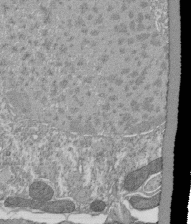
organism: Tetrahymena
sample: Cilia in tetrahymena